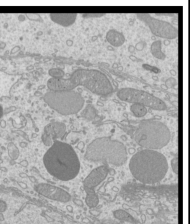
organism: Mouse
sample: Cilia; mouse epididymis